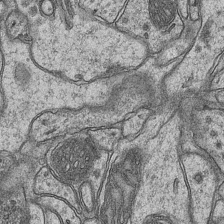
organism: Mouse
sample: CA1 Hippocampus